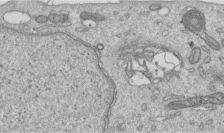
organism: Human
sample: Centriole in RPE cells